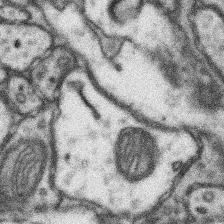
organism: Mouse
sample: Somatosensory cortex neuropil